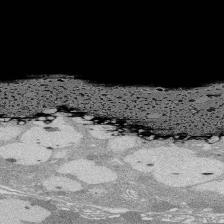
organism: Rat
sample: Salivary granule